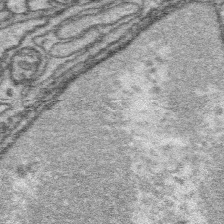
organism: Platynereis dumerilii